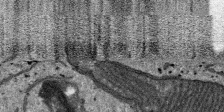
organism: Human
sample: Lung epithelial cells, uninfected (mock) control